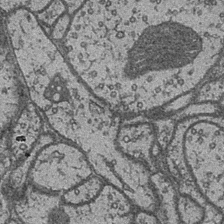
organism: Drosophila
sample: Optic medulla